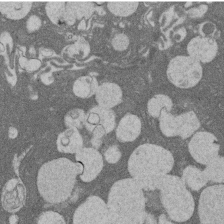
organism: Rat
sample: Salivary granule